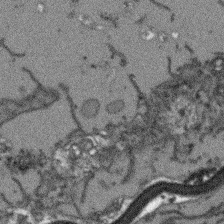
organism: Arabidopsis thaliana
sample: Root tip